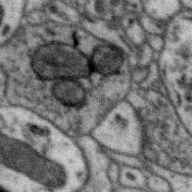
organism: Zebra finch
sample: Brain